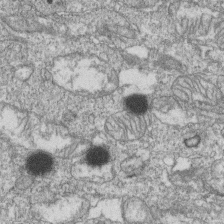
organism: Human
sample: HeLa cell HIV synapse